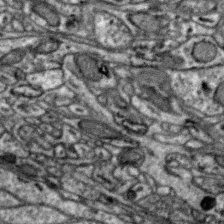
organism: Zebra finch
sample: Brain